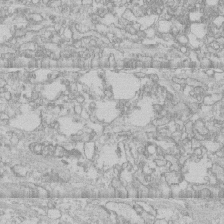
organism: Human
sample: CRL-1474